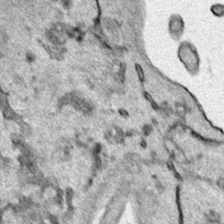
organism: Human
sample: Mitochondria in HCT116 cells